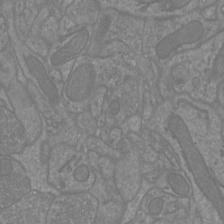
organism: Mouse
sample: Cortical neurons